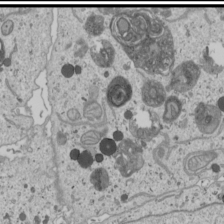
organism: Human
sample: Mitochondria in U2OS cells